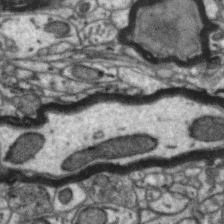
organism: Zebra finch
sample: Brain